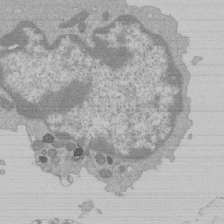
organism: Mouse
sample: Activated Pmel transgenic CD8+ T Cells